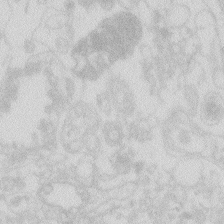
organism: Zebrafish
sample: Macrophage